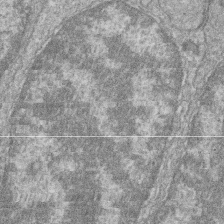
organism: Zebrafish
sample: Cilia; retinal pigment epithelium